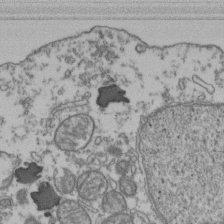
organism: Human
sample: Activated Jurkat CD4+ T cells